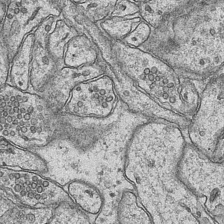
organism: Mouse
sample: CA1 Hippocampus